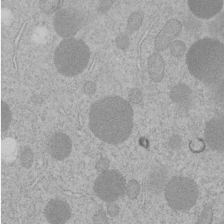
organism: C. elegans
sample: C. elegans embryo early stage